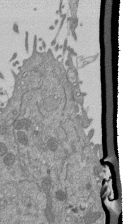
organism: Mouse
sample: ED-1 cell nuclei; centrioles